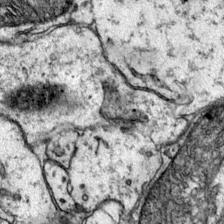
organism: Mouse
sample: Primary visual cortex